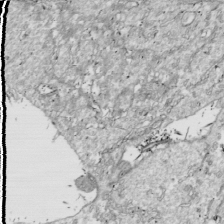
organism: Drosophila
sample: Cell division; meiosis; drosophila spermatocytes